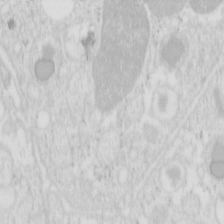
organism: Mouse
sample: Pancreas